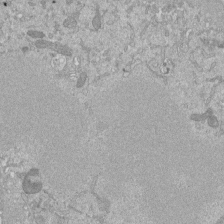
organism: Mouse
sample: ED-1 cell nuclei; centrioles